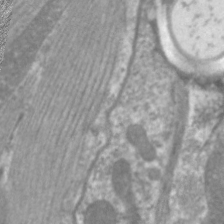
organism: C. elegans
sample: Pharynx